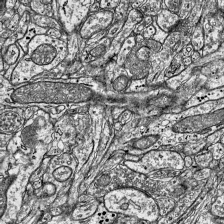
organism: Mouse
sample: Visual Cortex